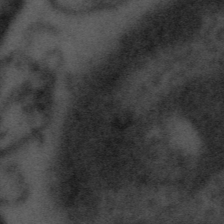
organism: Tuwongella immobilis